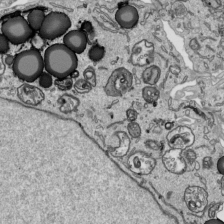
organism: Human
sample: Mitochondria in HCT116 cells